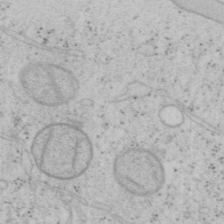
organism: Human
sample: HeLa cells